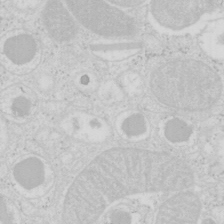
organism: Mouse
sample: Pancreas